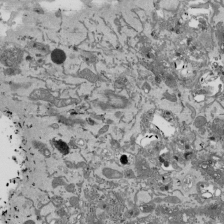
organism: Mouse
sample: ED-1 cell nuclei; centrioles